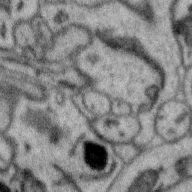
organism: Zebra finch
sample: Brain